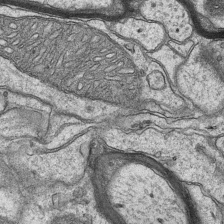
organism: Mouse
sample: CA1 Hippocampus